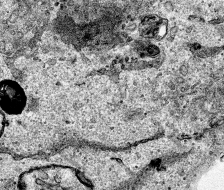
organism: Human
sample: Mitochondria in HCT116 cells